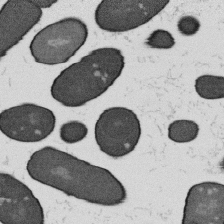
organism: B. subtilis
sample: Bacterial spore